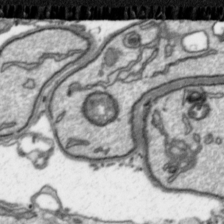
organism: Toxoplasma gondii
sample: Parasites in a vacuole inside a host cell